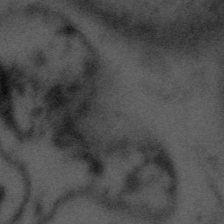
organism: Tuwongella immobilis